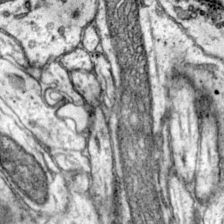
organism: Mouse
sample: Primary visual cortex